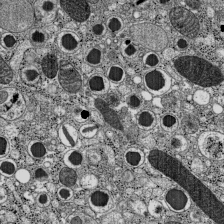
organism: C57BL Mouse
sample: Pancreatic islet